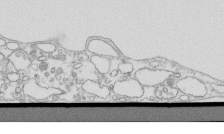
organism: Mouse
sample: Macrophages